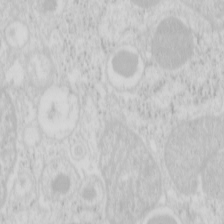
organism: Mouse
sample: Pancreas